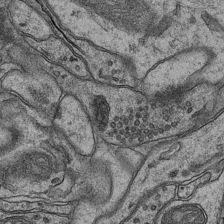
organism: Mouse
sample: CA1 Hippocampus